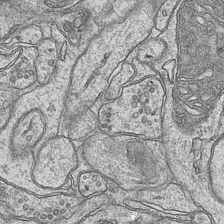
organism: Mouse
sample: CA1 Hippocampus